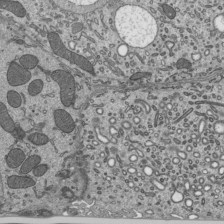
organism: Mouse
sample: Mouse epididymis efferent ductule cilia